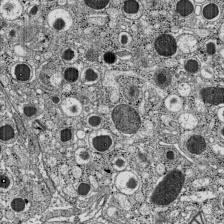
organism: C57BL Mouse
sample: Pancreatic islet